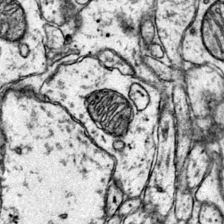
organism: Mouse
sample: Primary visual cortex